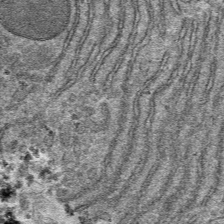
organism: Mouse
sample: Mouse hepatocytes